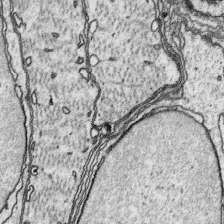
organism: Platynereis dumerilii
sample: Parapodia